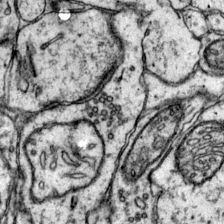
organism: Mouse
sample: Primary visual cortex